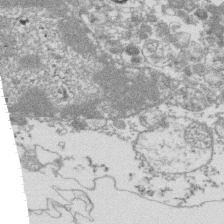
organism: Human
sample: HeLa cell HIV synapse